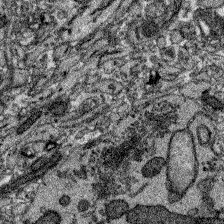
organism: Zebrafish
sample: Larval olfactory bulb